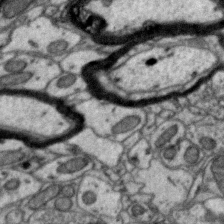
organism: Zebra finch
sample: Brain